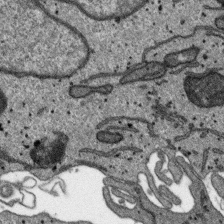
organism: Human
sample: Lung epithelial cells, uninfected (mock) control